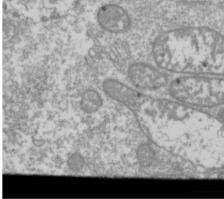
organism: Drosophila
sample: Cell division; meiosis; drosophila spermatocytes